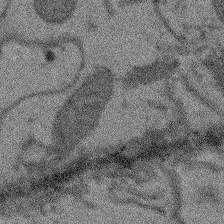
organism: Arabidopsis thaliana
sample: Root tip